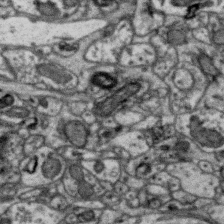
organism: Zebra finch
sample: Brain